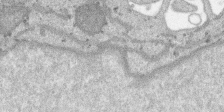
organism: Human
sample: Lung epithelial cells infected with SARS-CoV-2